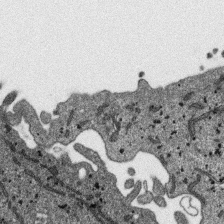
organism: Human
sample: Lung epithelial cells infected with SARS-CoV-2